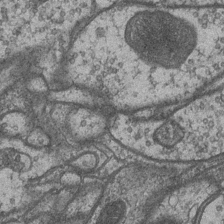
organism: Drosophila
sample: Optic medulla